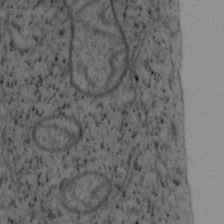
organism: Human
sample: HeLa cells